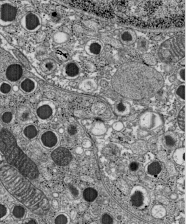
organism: C57BL Mouse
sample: Pancreatic islet